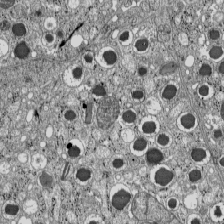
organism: C57BL Mouse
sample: Pancreatic islet